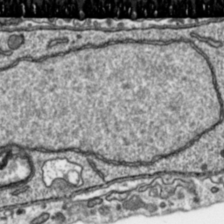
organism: Toxoplasma gondii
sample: Parasites in a vacuole inside a host cell